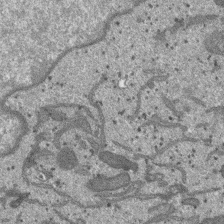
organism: Human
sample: Lung epithelial cells infected with SARS-CoV-2